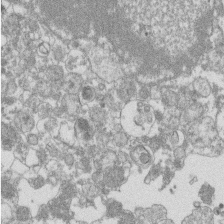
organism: Human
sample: HeLa cell HIV synapse